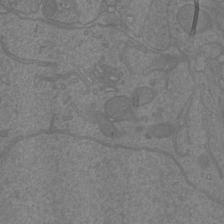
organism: Mouse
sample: Cortical neurons